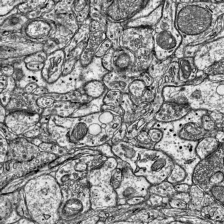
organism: Mouse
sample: Visual Cortex